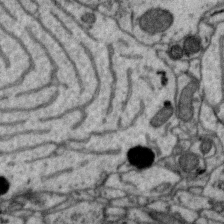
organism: Zebra finch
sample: Brain